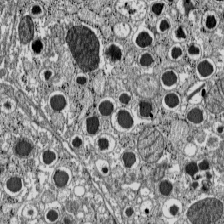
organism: C57BL Mouse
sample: Pancreatic islet